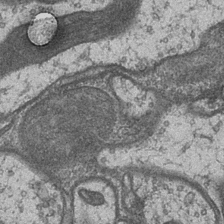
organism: Drosophila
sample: Optic medulla